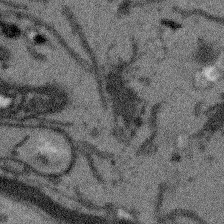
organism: Arabidopsis thaliana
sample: Root tip